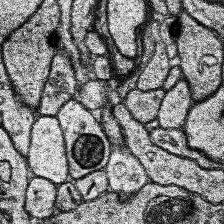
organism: Human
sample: Temporal Lobe